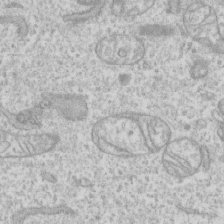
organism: Human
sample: CRL-1474